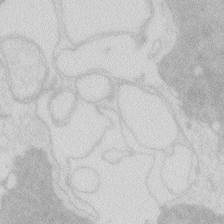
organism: Zebrafish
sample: Macrophage